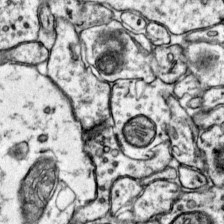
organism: Mouse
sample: Primary visual cortex